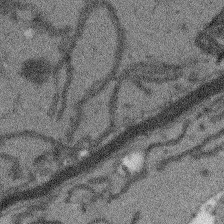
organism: Arabidopsis thaliana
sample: Root tip